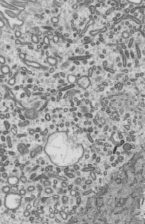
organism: Mouse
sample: Mouse epididymis efferent ductule cilia